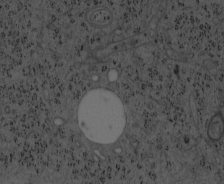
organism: Mouse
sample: OT-I killer T cells with ID8 ovarian cancer cells